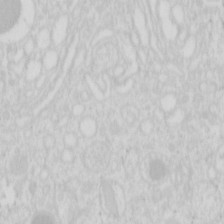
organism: Mouse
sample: Pancreas